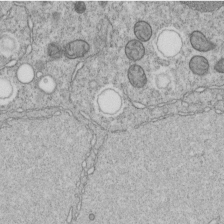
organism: C. elegans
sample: C. elegans embryo early stage